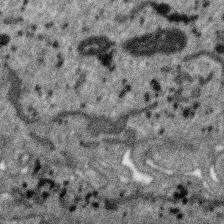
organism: Human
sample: Lung epithelial cells infected with SARS-CoV-2